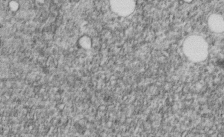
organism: C. elegans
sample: C. elegans embryo early stage